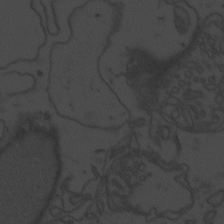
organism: Zebrafish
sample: Macrophage infected with Toxoplasma gondii